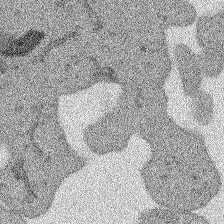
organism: Human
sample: HeLa cells